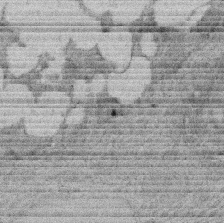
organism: Rat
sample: Salivary granule